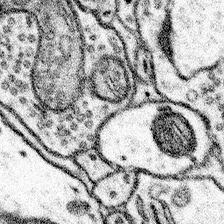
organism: Mouse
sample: Somatosensory cortex neuropil